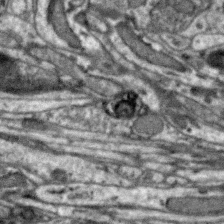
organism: Zebra finch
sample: Brain